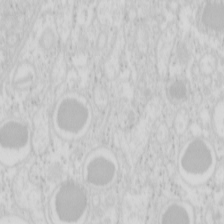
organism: Mouse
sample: Pancreas